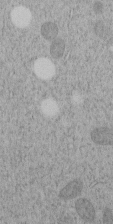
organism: C. elegans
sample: C. elegans embryo early stage